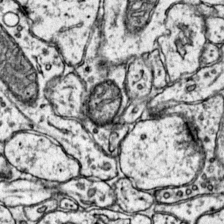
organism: Mouse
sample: Primary visual cortex